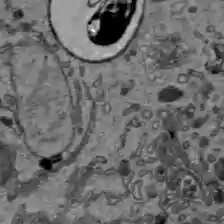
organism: C57BL Mouse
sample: Liver